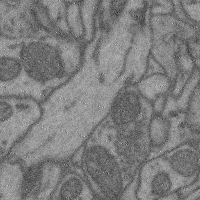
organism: Mouse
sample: Cerebral cortex